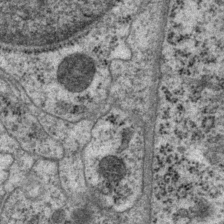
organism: P. pacificus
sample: Pharynx